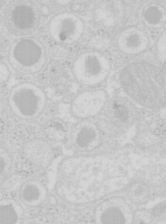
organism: Mouse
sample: Pancreas